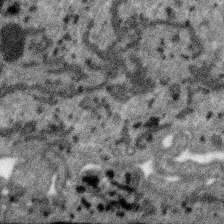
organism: Human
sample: Lung epithelial cells infected with SARS-CoV-2